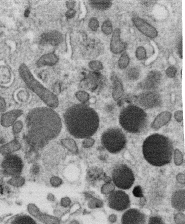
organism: C. elegans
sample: C. elegans oocyte; sperm cells